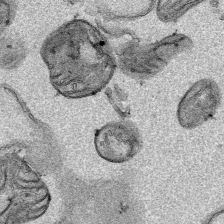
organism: Human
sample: Mitochondria in HCT116 cells